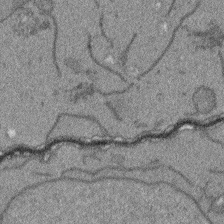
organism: Arabidopsis thaliana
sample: Root tip